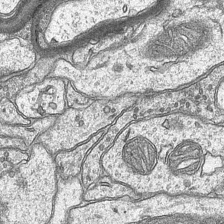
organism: Mouse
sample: CA1 Hippocampus